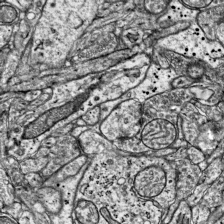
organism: Mouse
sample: Visual Cortex